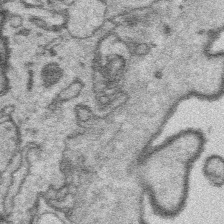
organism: Platynereis dumerilii